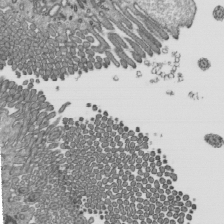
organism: Mouse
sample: Mouse epididymis efferent ductule cilia